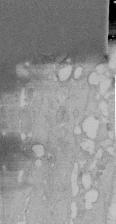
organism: Human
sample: Melanocyte Keratinocyte synapse skin construct